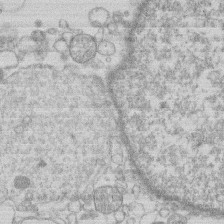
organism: Human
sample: Macrophage cells